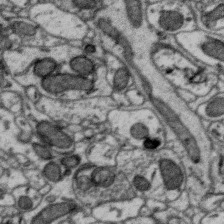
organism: Zebra finch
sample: Brain